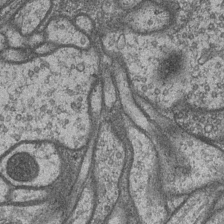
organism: Drosophila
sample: Optic medulla